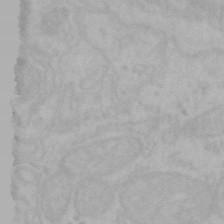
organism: Mouse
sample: Choroid plexus